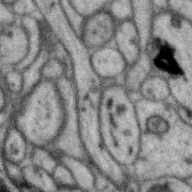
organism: Zebra finch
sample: Brain